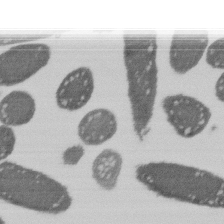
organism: E. coli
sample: Bacterial nucleoid